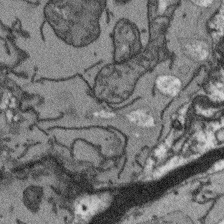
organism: Arabidopsis thaliana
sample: Root tip